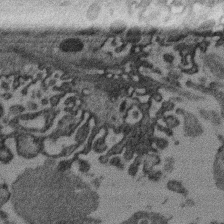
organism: Mouse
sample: Dividing mouse embryo 1 cell stage